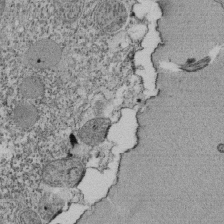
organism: Tetrahymena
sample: Cilia in tetrahymena